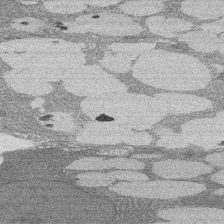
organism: Rat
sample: Salivary granule